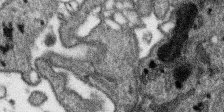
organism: Human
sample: Lung epithelial cells infected with SARS-CoV-2